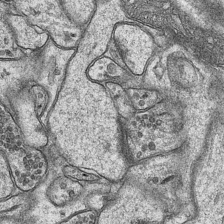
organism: Mouse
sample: CA1 Hippocampus